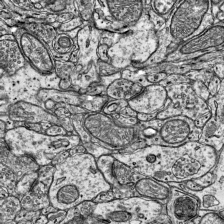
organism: Mouse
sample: Visual Cortex